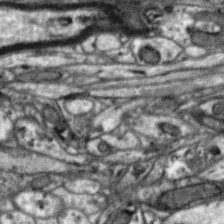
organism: Zebra finch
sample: Brain